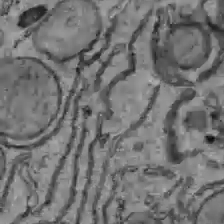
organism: C57BL Mouse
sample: Liver